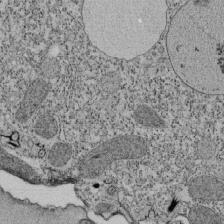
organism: Tetrahymena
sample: Cilia in tetrahymena